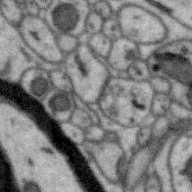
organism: Zebra finch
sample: Brain